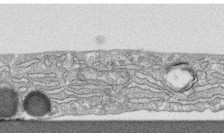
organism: Human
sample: CRL-1474